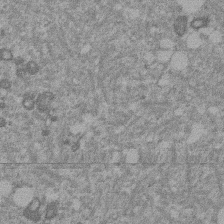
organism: Mouse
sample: Dividing mouse embryo 1 cell stage